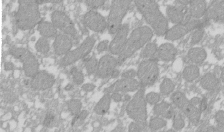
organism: Xenopus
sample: Cilia; centrioles in frog embryo cells